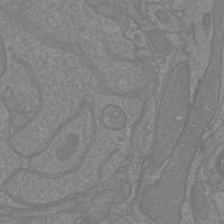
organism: Mouse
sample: Cortical neurons